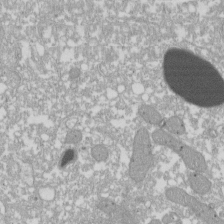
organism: Xenopus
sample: Cilia; centrioles in frog embryo cells